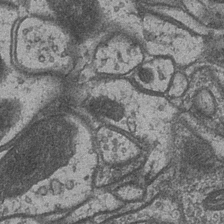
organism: Drosophila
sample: Optic medulla